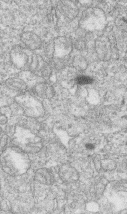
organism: Human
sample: HeLa cell HIV synapse